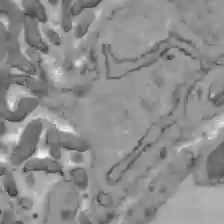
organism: C57BL Mouse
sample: Liver